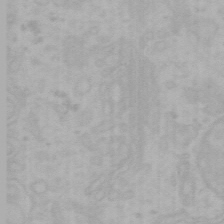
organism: Mouse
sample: Choroid plexus